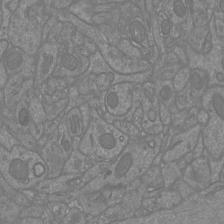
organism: Mouse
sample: Cortical neurons